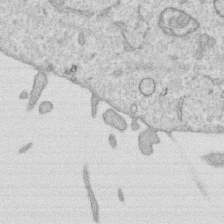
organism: Human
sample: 1205lu cells